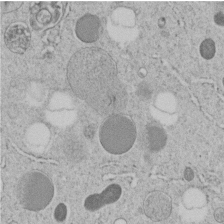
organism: C. elegans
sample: C. elegans embryo early stage